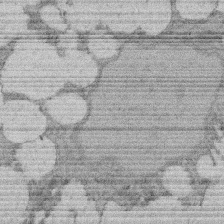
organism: Rat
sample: Salivary granule